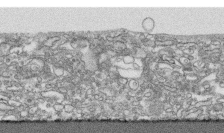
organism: Human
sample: CRL-1474